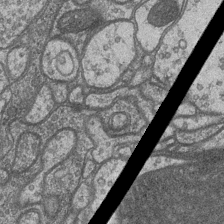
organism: Drosophila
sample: Optic medulla